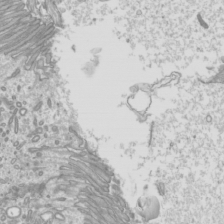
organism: Mouse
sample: Cilia; mouse epididymis